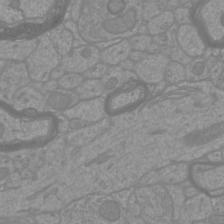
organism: Mouse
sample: Cortical neurons